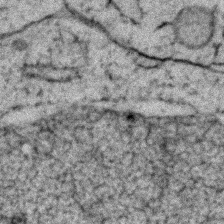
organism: Zebrafish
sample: Zebrafish embryo